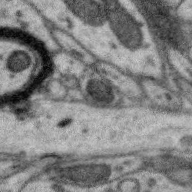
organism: Zebra finch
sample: Brain